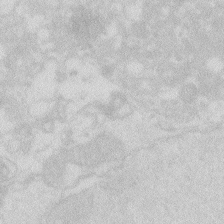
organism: Zebrafish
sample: Macrophage